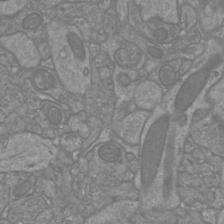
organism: Mouse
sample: Cortical neurons